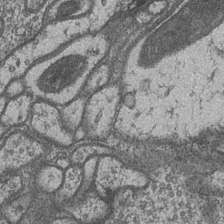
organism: Drosophila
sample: Optic medulla